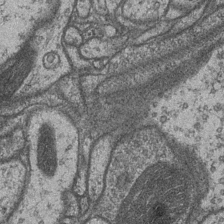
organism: Drosophila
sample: Optic medulla